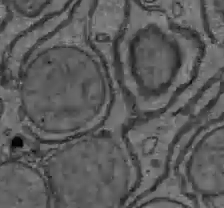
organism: C57BL Mouse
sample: Liver